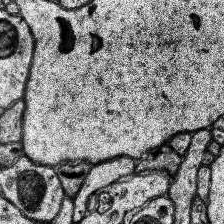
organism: Human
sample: Temporal Lobe